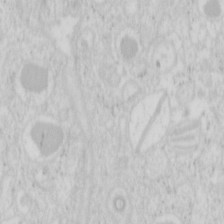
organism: Mouse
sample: Pancreas